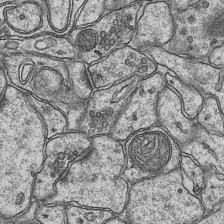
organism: Mouse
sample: CA1 Hippocampus